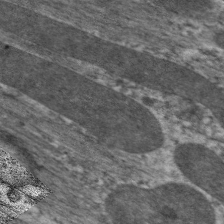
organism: C. elegans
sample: Pharynx